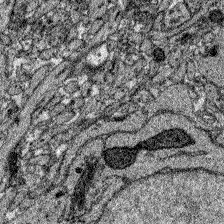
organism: Zebrafish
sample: Larval olfactory bulb